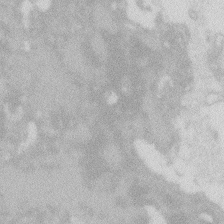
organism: Zebrafish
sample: Macrophage